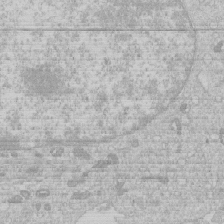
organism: Human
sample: Macrophage cells